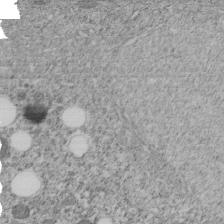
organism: C. elegans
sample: C. elegans embryo early stage